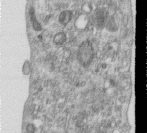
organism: Human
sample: Centriole in RPE cells